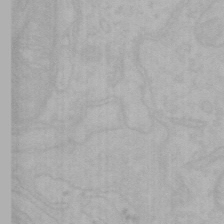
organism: Mouse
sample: Choroid plexus